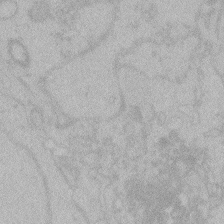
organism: Zebrafish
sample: Macrophage infected with Toxoplasma gondii